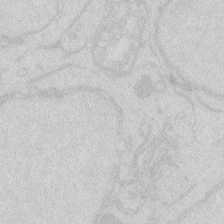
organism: Zebrafish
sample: Macrophage